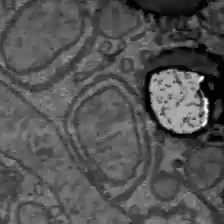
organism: C57BL Mouse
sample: Liver